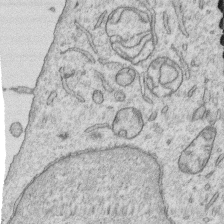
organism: Human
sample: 1205lu cells